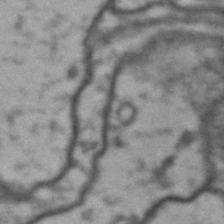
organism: Drosophila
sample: Brain